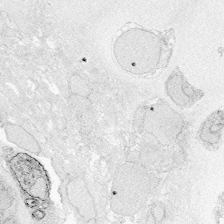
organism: Zebrafish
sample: Whole-Brain